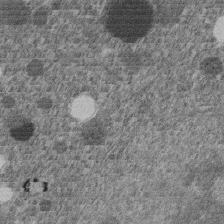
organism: C. elegans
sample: C. elegans embryo early stage